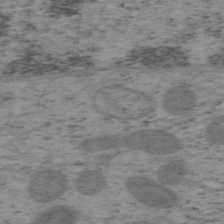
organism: Mouse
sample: OT-I killer T cells with ID8 ovarian cancer cells